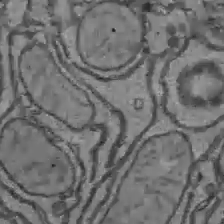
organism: C57BL Mouse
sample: Liver